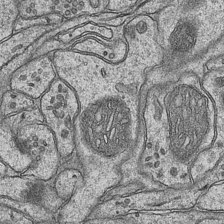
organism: Mouse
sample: CA1 Hippocampus